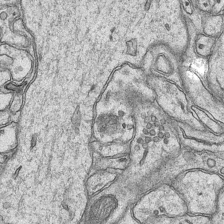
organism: Mouse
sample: CA1 Hippocampus